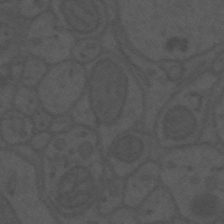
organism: Mouse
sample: Suprachiasmatic nucleus